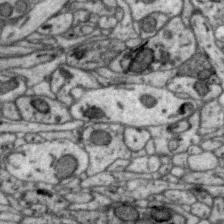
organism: Zebra finch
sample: Brain